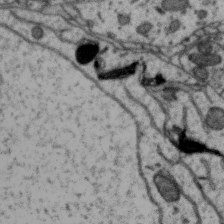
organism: Zebra finch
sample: Brain